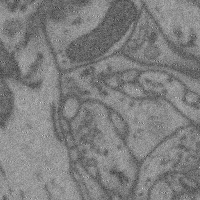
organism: Mouse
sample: Cerebral cortex